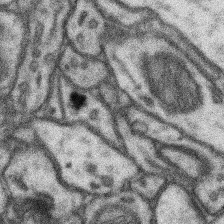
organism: Mouse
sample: Somatosensory cortex neuropil